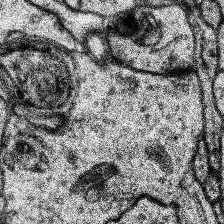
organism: Human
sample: Temporal Lobe